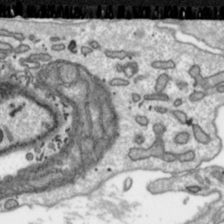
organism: Toxoplasma gondii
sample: Parasites in a vacuole inside a host cell